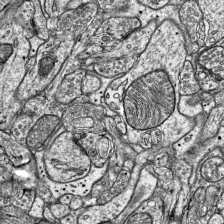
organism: Mouse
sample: Visual Cortex